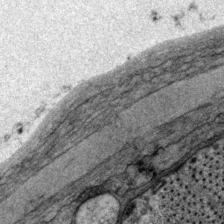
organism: P. pacificus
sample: Pharynx